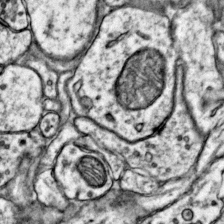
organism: Mouse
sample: Primary visual cortex